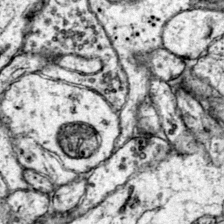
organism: Mouse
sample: Primary visual cortex